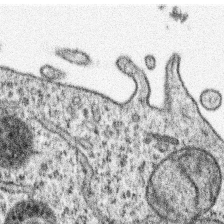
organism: Human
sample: HeLa cells